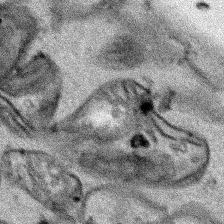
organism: Human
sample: Mitochondria in HCT116 cells